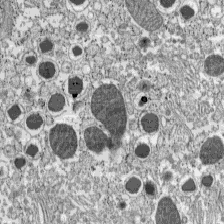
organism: C57BL Mouse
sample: Pancreatic islet